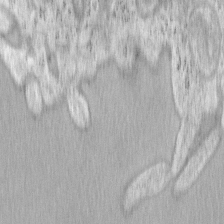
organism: Human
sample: HeLa cells